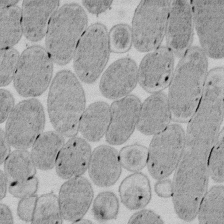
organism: E. coli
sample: Bacterial nucleoid